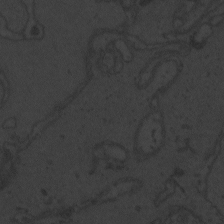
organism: Zebrafish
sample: Macrophage infected with Toxoplasma gondii